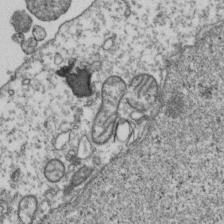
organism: Human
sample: Activated Jurkat CD4+ T cells